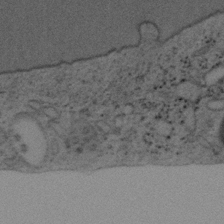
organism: Human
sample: HeLa cells